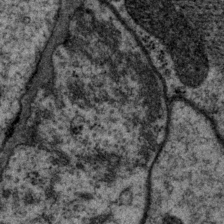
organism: P. pacificus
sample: Pharynx